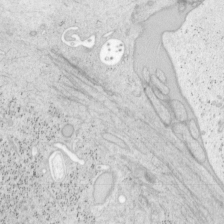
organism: Mouse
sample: OT-I killer T cells with ID8 ovarian cancer cells